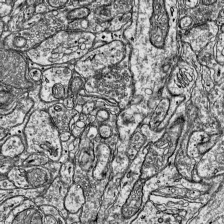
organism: Mouse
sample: Visual Cortex